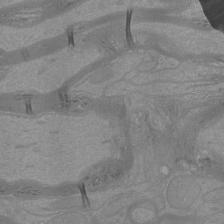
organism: Mouse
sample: Cortical neurons